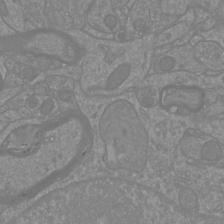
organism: Mouse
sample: Cortical neurons